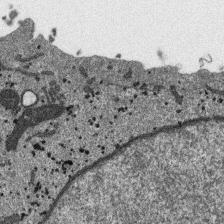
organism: Human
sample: Lung epithelial cells infected with SARS-CoV-2